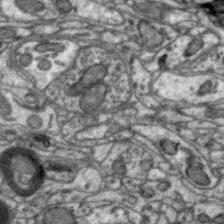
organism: Zebra finch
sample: Brain